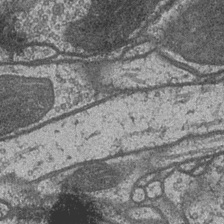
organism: Drosophila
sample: Optic medulla